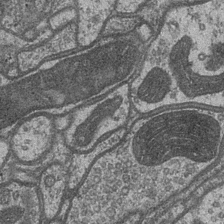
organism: Drosophila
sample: Optic medulla